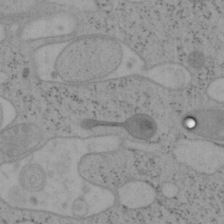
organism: Mouse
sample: OT-I killer T cells with ID8 ovarian cancer cells